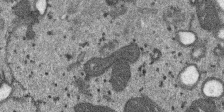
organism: Human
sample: Lung epithelial cells infected with SARS-CoV-2